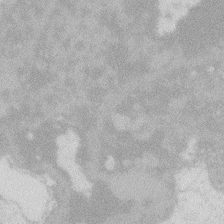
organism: Zebrafish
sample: Macrophage